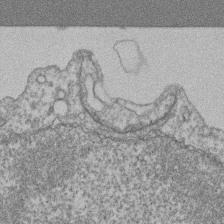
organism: Mouse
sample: T cell stromal cell synapse